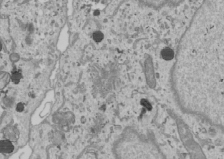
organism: Human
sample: Mitochondria in U2OS cells